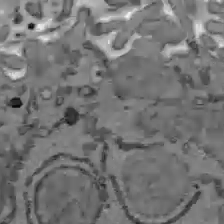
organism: C57BL Mouse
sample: Liver